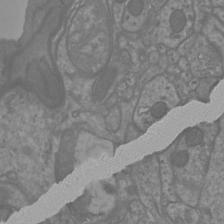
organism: Mouse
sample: Cortical neurons